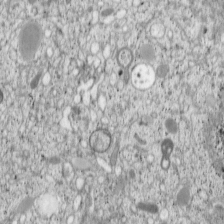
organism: African green monkey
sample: COS-7 cells